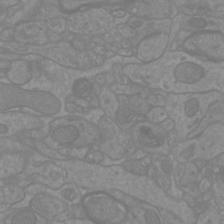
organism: Mouse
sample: Cortical neurons